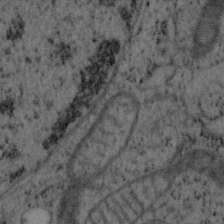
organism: Human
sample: HeLa cells